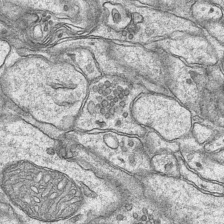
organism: Mouse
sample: CA1 Hippocampus